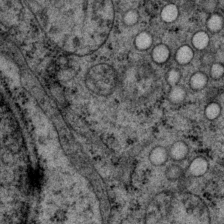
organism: P. pacificus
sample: Pharynx